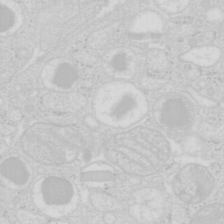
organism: Mouse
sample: Pancreas